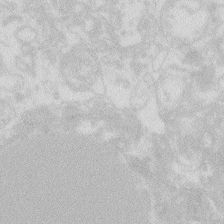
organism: Zebrafish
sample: Macrophage